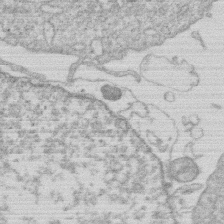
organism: Human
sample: Macrophage cells